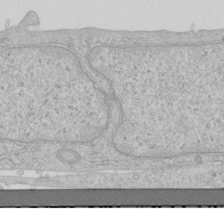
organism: Human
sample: Centriole in RPE cells